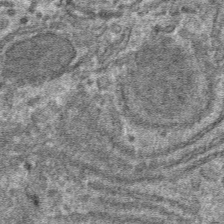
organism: Mouse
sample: Mouse hepatocytes